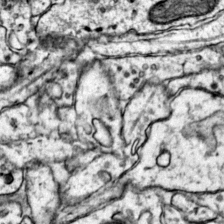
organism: Mouse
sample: Primary visual cortex